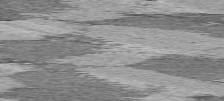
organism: C57BL Mouse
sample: Heart